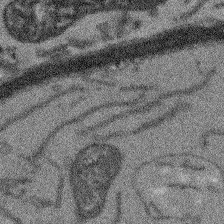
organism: Arabidopsis thaliana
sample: Root tip